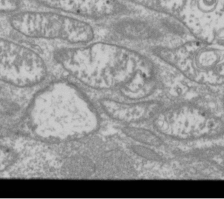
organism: Drosophila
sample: Cell division; meiosis; drosophila spermatocytes